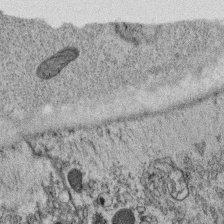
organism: C. elegans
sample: C. elegans oocyte; sperm cells